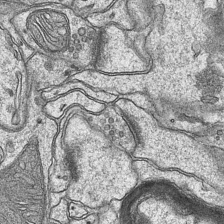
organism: Mouse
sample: CA1 Hippocampus